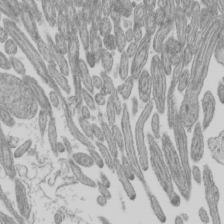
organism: Mouse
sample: Cilia; mouse epididymis